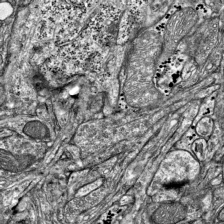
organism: Mouse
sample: Visual Cortex